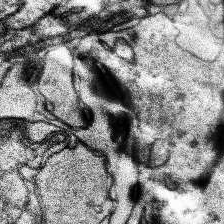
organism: Human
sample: Temporal Lobe